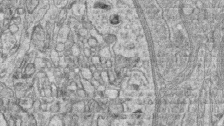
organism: Zebrafish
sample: synaptic ribbons in rod cells and cone cells